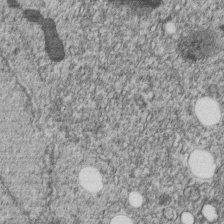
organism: C. elegans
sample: C. elegans embryo early stage